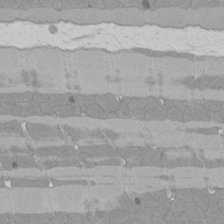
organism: Rat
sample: Left ventricle